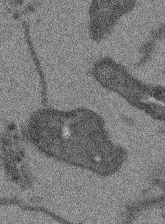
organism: Arabidopsis thaliana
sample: Root tip